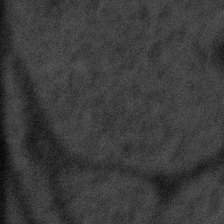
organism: Tuwongella immobilis